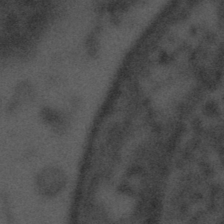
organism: Tuwongella immobilis